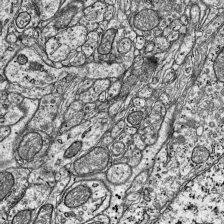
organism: Mouse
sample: Visual Cortex